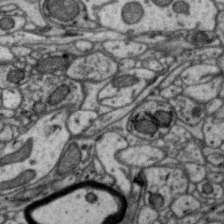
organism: Zebra finch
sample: Brain